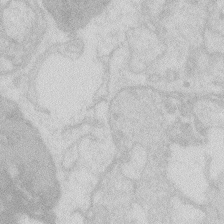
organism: Zebrafish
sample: Macrophage